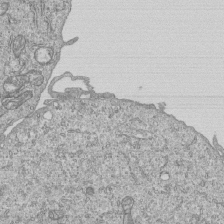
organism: Human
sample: MDA-MB-231 cells